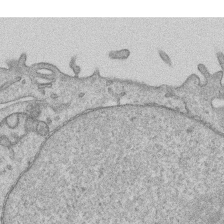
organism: Human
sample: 1205lu cells